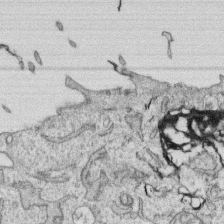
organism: Human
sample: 1205lu cells